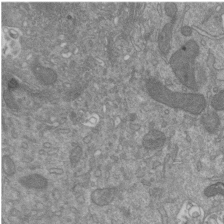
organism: Mouse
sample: ED-1 cell nuclei; centrioles